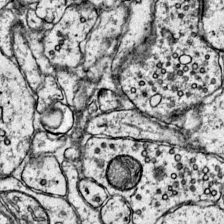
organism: Mouse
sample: Primary visual cortex